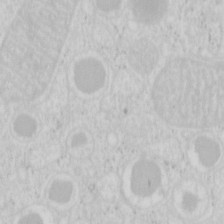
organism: Mouse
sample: Pancreas